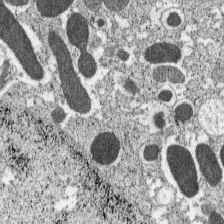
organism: C57BL Mouse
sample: Pancreatic islet